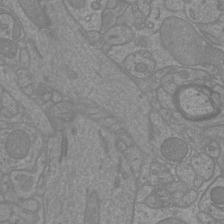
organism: Mouse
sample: Cortical neurons